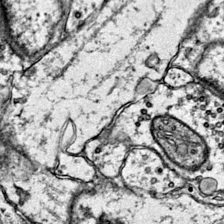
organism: Mouse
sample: Primary visual cortex